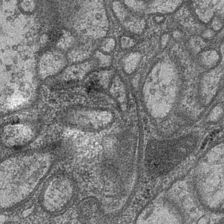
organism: Drosophila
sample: Optic medulla